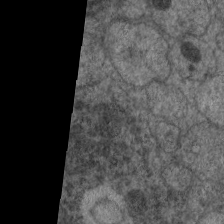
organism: C. elegans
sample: Pharynx